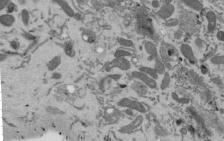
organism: Mouse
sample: ED-1 cell nuclei; centrioles